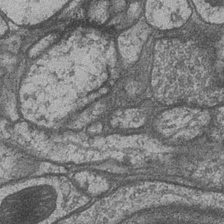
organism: Drosophila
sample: Optic medulla